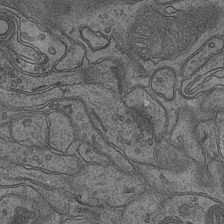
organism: Mouse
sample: CA1 Hippocampus